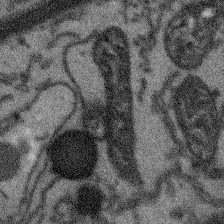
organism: Arabidopsis thaliana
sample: Root tip